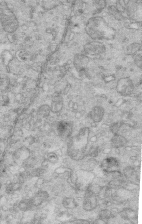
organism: Mouse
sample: Multiciliated cells